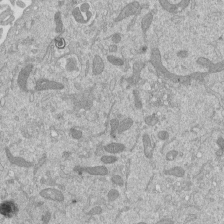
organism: Mouse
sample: ED-1 cell nuclei; centrioles